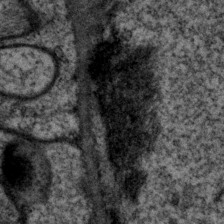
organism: P. pacificus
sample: Pharynx